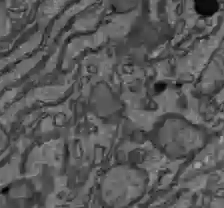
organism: C57BL Mouse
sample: Liver